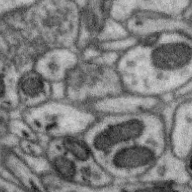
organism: Zebra finch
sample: Brain